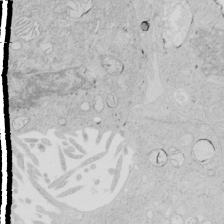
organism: Human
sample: Mitochondria in HCT116 cells